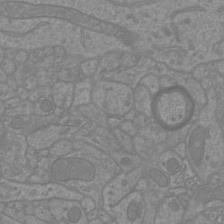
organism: Mouse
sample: Cortical neurons